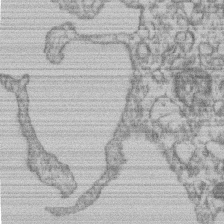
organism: Mouse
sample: T cell stromal cell synapse